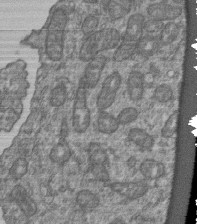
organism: Human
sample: Retinal organoid Rod and Cone cells